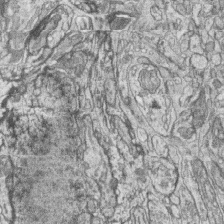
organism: Zebrafish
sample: synaptic ribbons in rod cells and cone cells